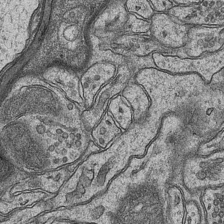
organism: Mouse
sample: CA1 Hippocampus